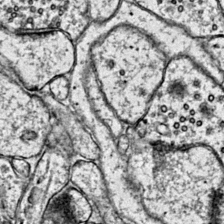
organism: Mouse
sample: Primary visual cortex